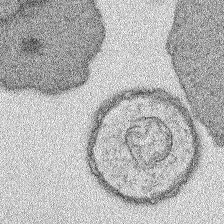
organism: Human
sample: HeLa cells